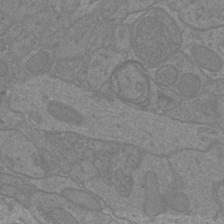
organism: Mouse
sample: Cortical neurons